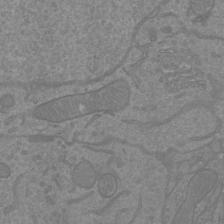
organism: Mouse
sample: Cortical neurons